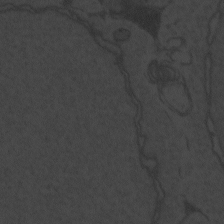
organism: Zebrafish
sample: Macrophage infected with Toxoplasma gondii